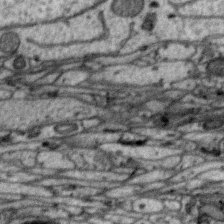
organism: Zebra finch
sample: Brain